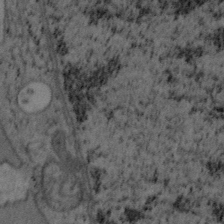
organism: Human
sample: HeLa cells